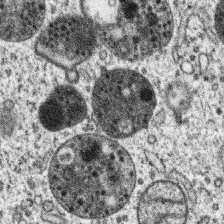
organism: Human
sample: HeLa cells